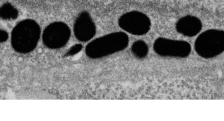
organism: Zebrafish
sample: Cilia; retinal pigment epithelium